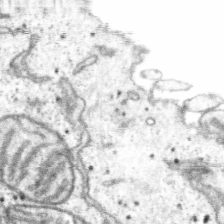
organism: Human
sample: HeLa cells